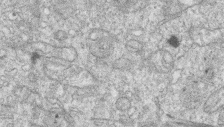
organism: Human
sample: HeLa cell HIV synapse